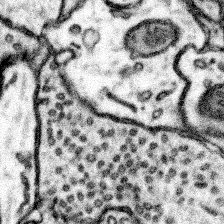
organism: Mouse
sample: Somatosensory cortex neuropil